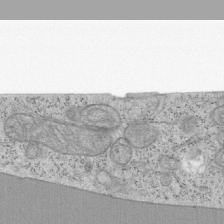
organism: Human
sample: HeLa cells